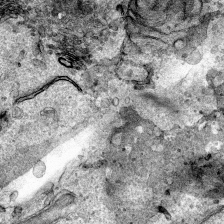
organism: Human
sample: Mitochondria in HCT116 cells